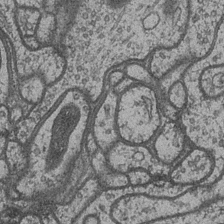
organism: Drosophila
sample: Optic medulla